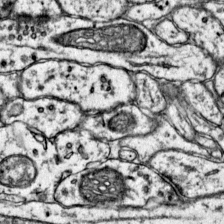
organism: Mouse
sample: Primary visual cortex